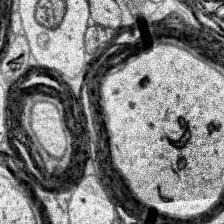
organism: Human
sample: Temporal Lobe